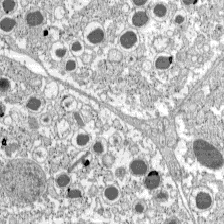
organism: C57BL Mouse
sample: Pancreatic islet